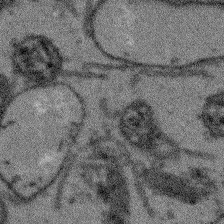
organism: Arabidopsis thaliana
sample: Root tip